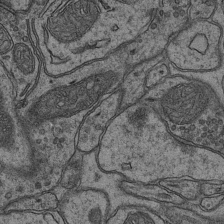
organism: Mouse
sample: CA1 Hippocampus